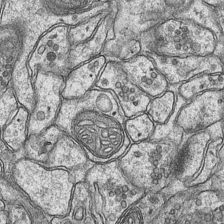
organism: Mouse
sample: CA1 Hippocampus